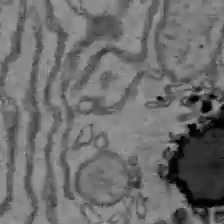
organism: C57BL Mouse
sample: Liver